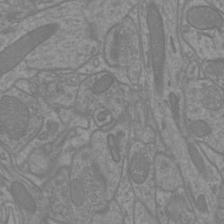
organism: Mouse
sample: Cortical neurons